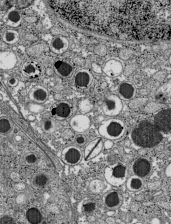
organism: C57BL Mouse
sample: Pancreatic islet